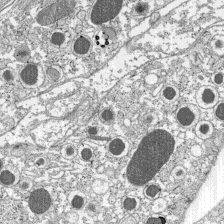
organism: C57BL Mouse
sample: Pancreatic islet